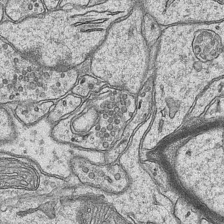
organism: Mouse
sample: CA1 Hippocampus